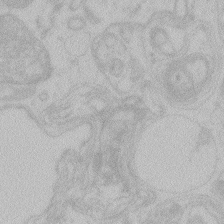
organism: Zebrafish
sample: Macrophage infected with Toxoplasma gondii